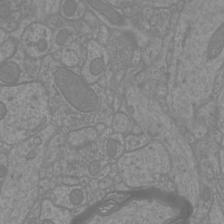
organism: Mouse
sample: Cortical neurons